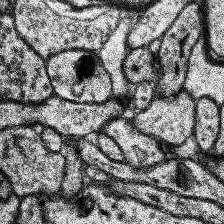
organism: Human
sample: Temporal Lobe